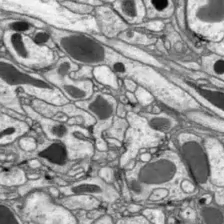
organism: Drosophila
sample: Optic lobe